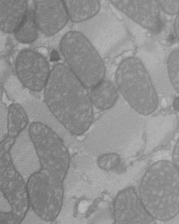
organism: C57BL Mouse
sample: Heart